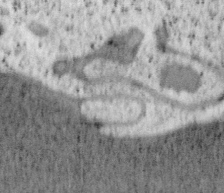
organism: Mouse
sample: OT-I killer T cells with ID8 ovarian cancer cells